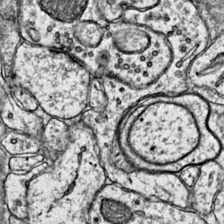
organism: Mouse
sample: Primary visual cortex